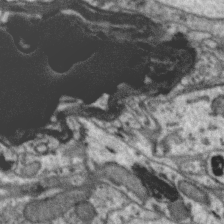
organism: Zebra finch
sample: Brain